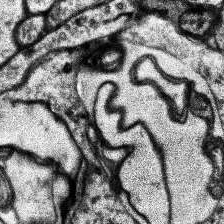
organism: Human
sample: Temporal Lobe